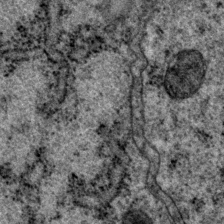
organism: P. pacificus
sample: Pharynx